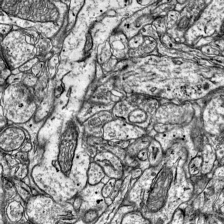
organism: Mouse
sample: Visual Cortex